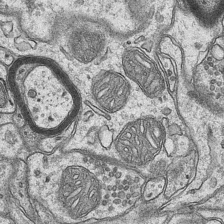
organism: Mouse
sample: CA1 Hippocampus